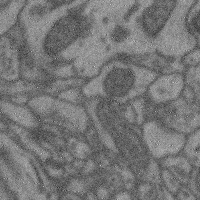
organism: Mouse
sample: Cerebral cortex